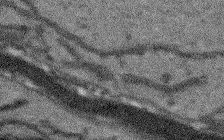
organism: Arabidopsis thaliana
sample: Root tip